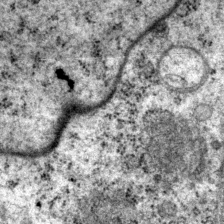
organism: P. pacificus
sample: Pharynx